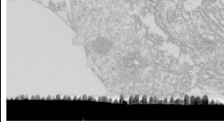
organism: Drosophila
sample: Cell division; meiosis; drosophila spermatocytes